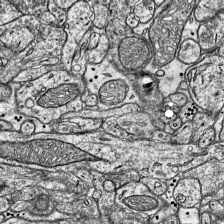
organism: Mouse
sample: Visual Cortex